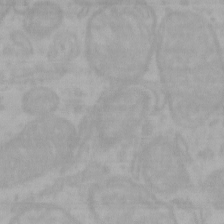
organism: Mouse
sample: Choroid plexus